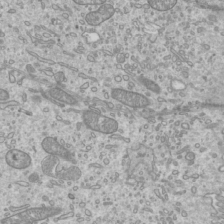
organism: Mouse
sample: Cilia; mouse epididymis